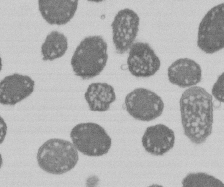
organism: E. coli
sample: Bacterial nucleoid